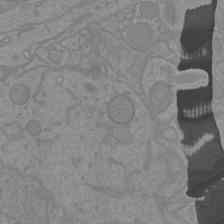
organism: Mouse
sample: Cortical neurons